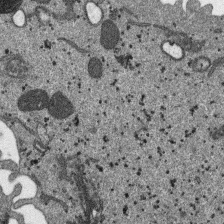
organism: Human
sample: Lung epithelial cells infected with SARS-CoV-2